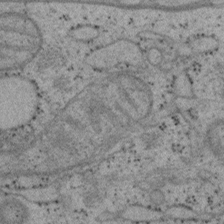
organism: Human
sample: HeLa cells